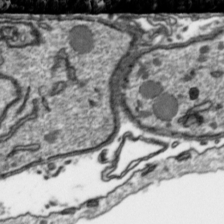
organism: Toxoplasma gondii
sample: Parasites in a vacuole inside a host cell